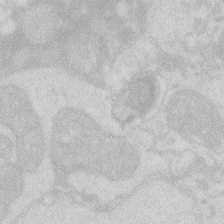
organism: Zebrafish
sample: Macrophage